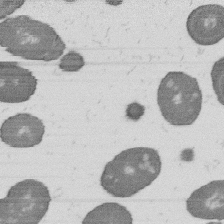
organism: B. subtilis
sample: Bacterial spore